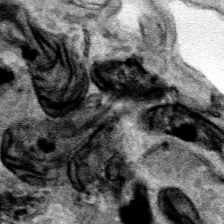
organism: Human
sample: Mitochondria in HCT116 cells